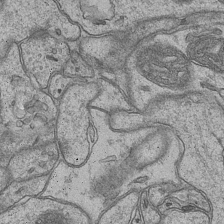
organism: Mouse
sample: CA1 Hippocampus